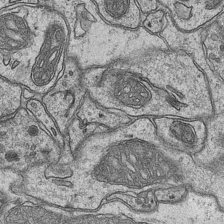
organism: Mouse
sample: CA1 Hippocampus